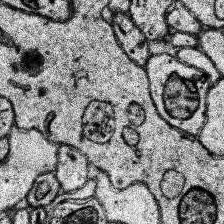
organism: Human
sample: Temporal Lobe